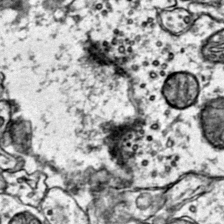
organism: Mouse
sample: Primary visual cortex